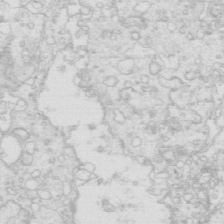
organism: Mouse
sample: Multiciliated cells